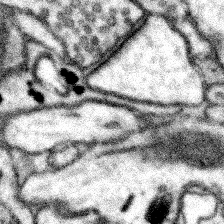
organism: Mouse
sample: Somatosensory cortex neuropil